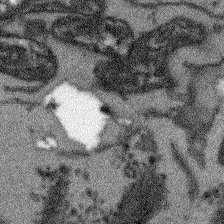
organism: Arabidopsis thaliana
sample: Root tip